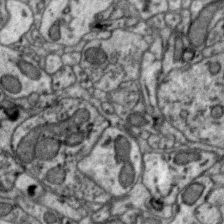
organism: Zebra finch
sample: Brain